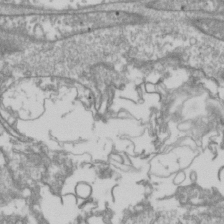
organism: Drosophila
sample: Cell division; meiosis; drosophila spermatocytes